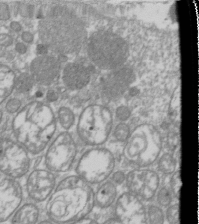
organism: Drosophila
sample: Cell division; meiosis; drosophila spermatocytes